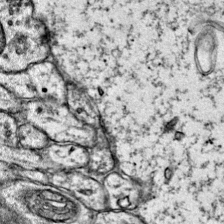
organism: Mouse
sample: Primary visual cortex